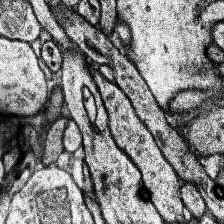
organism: Human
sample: Temporal Lobe